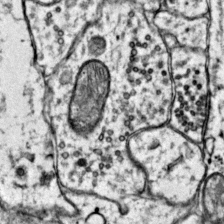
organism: Mouse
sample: Primary visual cortex